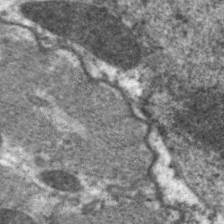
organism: C. elegans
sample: Pharynx